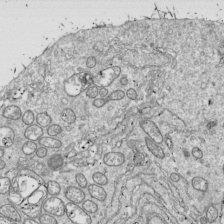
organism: Drosophila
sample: Cell division; meiosis; drosophila spermatocytes